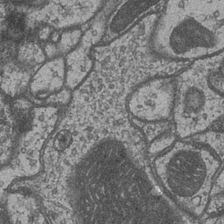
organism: Drosophila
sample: Optic medulla